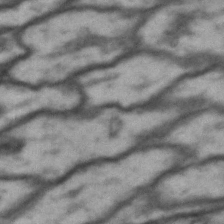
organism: Drosophila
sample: Brain